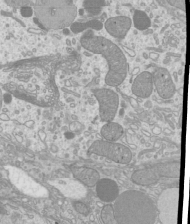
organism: Mouse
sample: Cilia; mouse epididymis